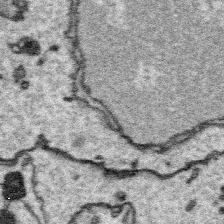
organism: Platynereis dumerilii